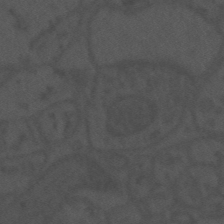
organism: Mouse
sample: Suprachiasmatic nucleus